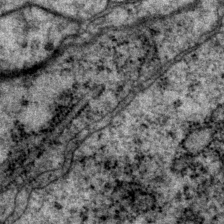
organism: P. pacificus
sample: Pharynx